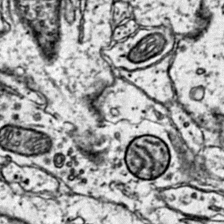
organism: Mouse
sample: Primary visual cortex